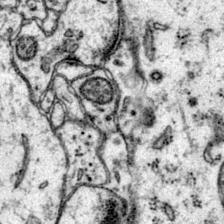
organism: Mouse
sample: Primary visual cortex